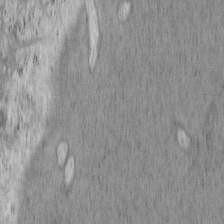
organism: Human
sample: HeLa cells